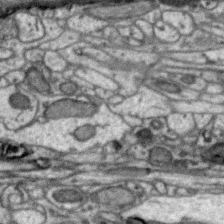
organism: Zebra finch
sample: Brain